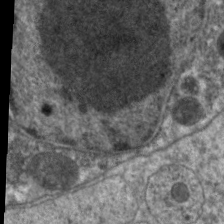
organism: C. elegans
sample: Pharynx